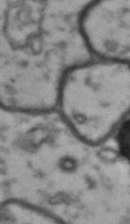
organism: Drosophila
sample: Brain